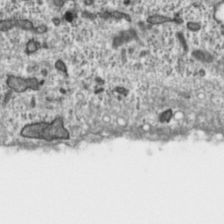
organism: Toxoplasma gondii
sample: Parasites in a vacuole inside a host cell